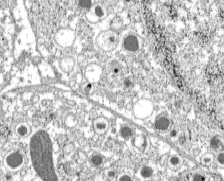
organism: C57BL Mouse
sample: Pancreatic islet